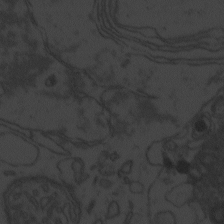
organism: Zebrafish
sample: Macrophage infected with Toxoplasma gondii